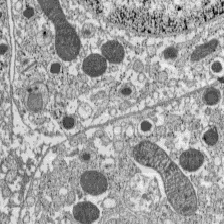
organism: C57BL Mouse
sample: Pancreatic islet